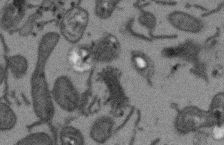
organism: Arabidopsis thaliana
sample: Root tip